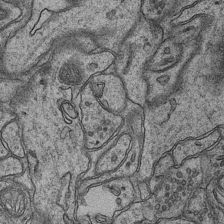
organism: Mouse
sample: CA1 Hippocampus